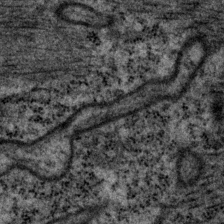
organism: P. pacificus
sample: Pharynx